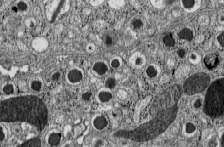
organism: C57BL Mouse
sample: Pancreatic islet